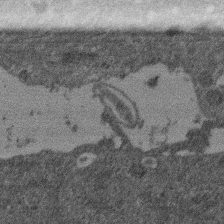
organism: Mouse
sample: Dividing mouse embryo 1 cell stage